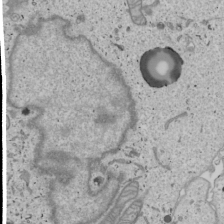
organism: Human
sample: Mitochondria in U2OS cells